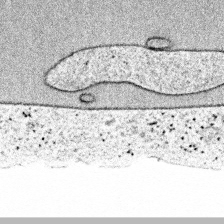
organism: Human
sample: HeLa cells